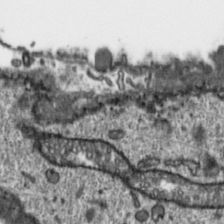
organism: Toxoplasma gondii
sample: Parasites in a vacuole inside a host cell